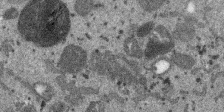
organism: Human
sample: Lung epithelial cells infected with SARS-CoV-2